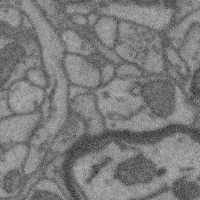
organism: Mouse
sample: Cerebral cortex